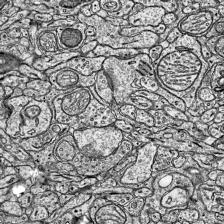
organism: Mouse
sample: Visual Cortex